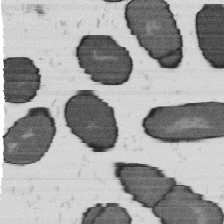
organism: B. subtilis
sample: Bacterial spore